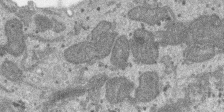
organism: Human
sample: Lung epithelial cells infected with SARS-CoV-2